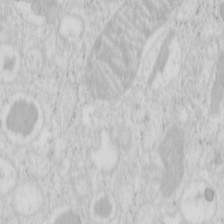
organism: Mouse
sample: Pancreas